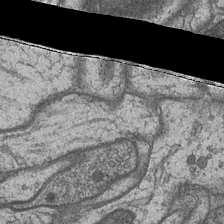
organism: Drosophila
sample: Optic medulla